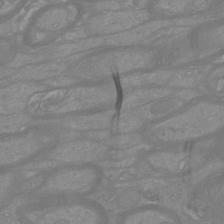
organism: Mouse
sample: Cortical neurons